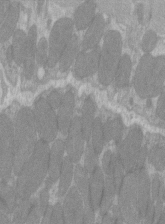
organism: C57BL Mouse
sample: Tibialis anterior muscle cell